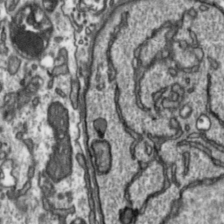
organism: Toxoplasma gondii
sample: Parasites in a vacuole inside a host cell